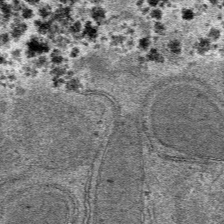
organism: Mouse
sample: Mouse hepatocytes